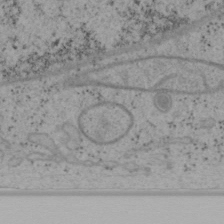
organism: Human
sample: HeLa cells